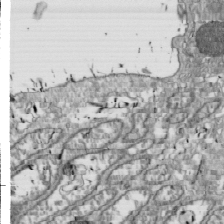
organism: Drosophila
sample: Cell division; meiosis; drosophila spermatocytes